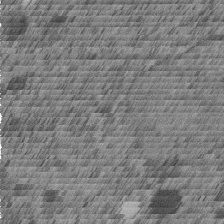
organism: C. elegans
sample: C. elegans embryo early stage